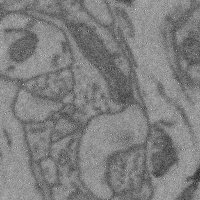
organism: Mouse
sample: Cerebral cortex